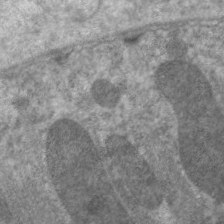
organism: C. elegans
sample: Pharynx